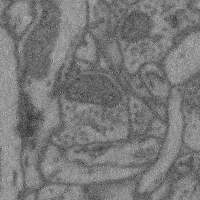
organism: Mouse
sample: Cerebral cortex